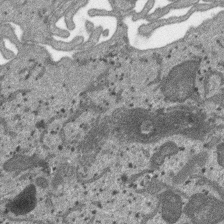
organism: Human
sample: Lung epithelial cells infected with SARS-CoV-2